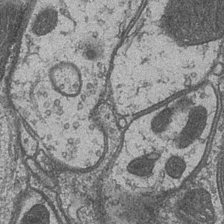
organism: Drosophila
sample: Optic medulla